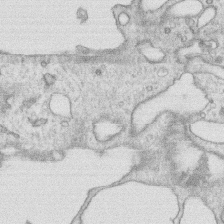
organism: Human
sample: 1205lu cells